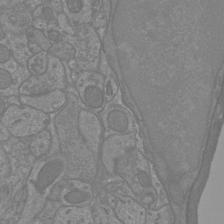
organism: Mouse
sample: Cortical neurons